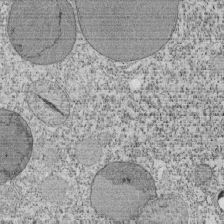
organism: Tetrahymena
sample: Cilia in tetrahymena